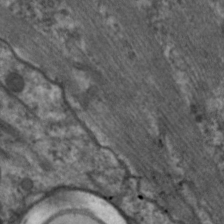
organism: C. elegans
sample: Pharynx